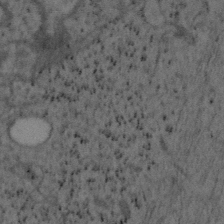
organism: Human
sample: HeLa cells